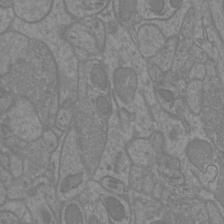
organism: Mouse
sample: Cortical neurons